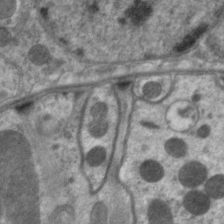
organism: C. elegans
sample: Pharynx